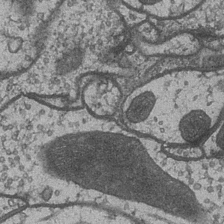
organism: Drosophila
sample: Optic medulla